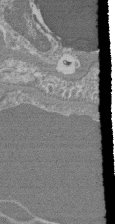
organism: Mouse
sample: Glomerulus